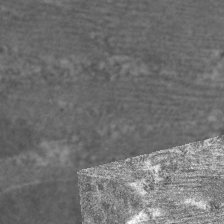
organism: C. elegans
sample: Pharynx